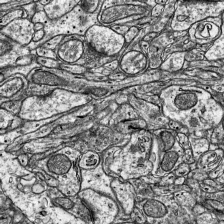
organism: Mouse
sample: Visual Cortex